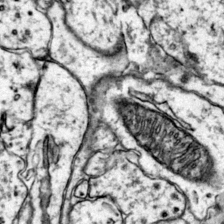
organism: Mouse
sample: Primary visual cortex